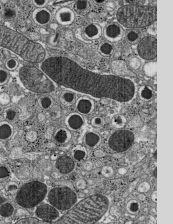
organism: C57BL Mouse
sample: Pancreatic islet